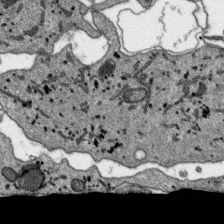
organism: Human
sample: Lung epithelial cells, uninfected (mock) control